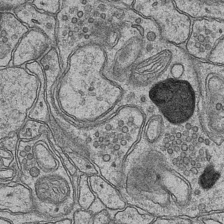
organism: Mouse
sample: CA1 Hippocampus